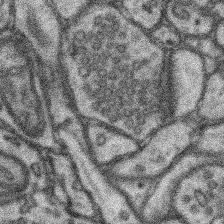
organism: Mouse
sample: Somatosensory cortex neuropil